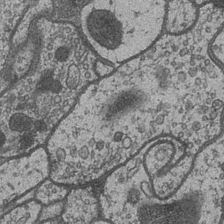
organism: Drosophila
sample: Optic medulla